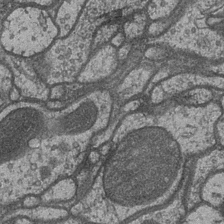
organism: Drosophila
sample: Optic medulla